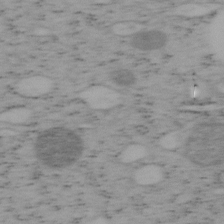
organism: Mouse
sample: OT-I killer T cells with ID8 ovarian cancer cells